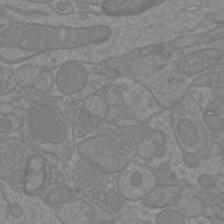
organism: Mouse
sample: Cortical neurons